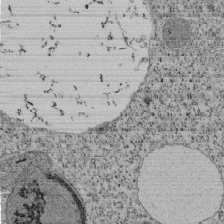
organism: Tetrahymena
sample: Cilia in tetrahymena